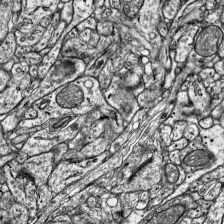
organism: Mouse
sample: Visual Cortex